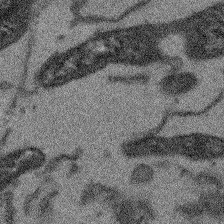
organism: Arabidopsis thaliana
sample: Root tip